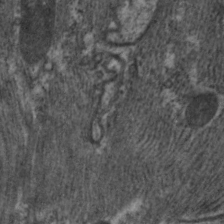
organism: C. elegans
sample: Pharynx